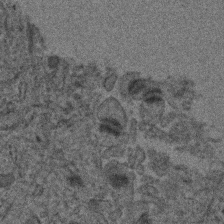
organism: Human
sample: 1205lu cells